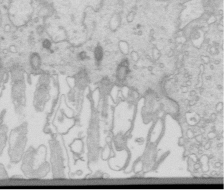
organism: Mouse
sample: Multiciliated cells